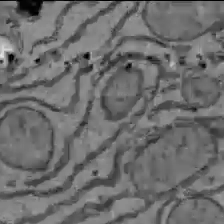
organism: C57BL Mouse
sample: Liver